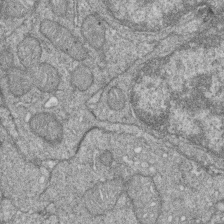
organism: Zebrafish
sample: Cilia; retinal pigment epithelium